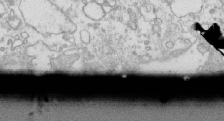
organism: Mouse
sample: Macrophages